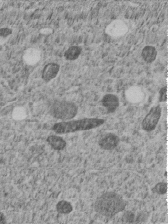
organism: C. elegans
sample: C. elegans embryo early stage